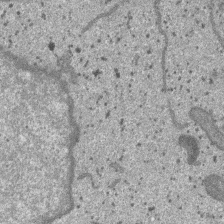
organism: Human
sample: Lung epithelial cells infected with SARS-CoV-2